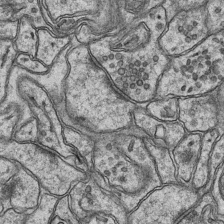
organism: Mouse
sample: CA1 Hippocampus